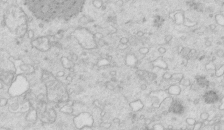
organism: Mouse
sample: Multiciliated cells